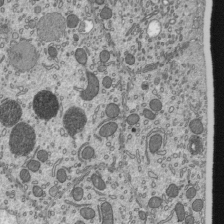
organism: Mouse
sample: Mouse epididymis efferent ductule cilia